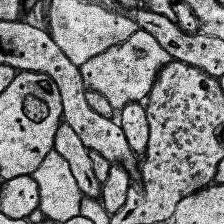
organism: Human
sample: Temporal Lobe